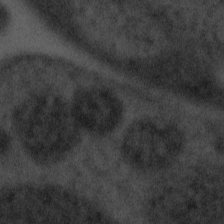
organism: Tuwongella immobilis